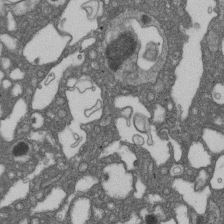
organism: Drosophila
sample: Nephrocyte